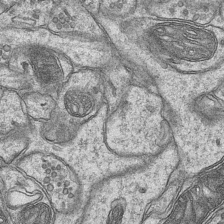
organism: Mouse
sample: CA1 Hippocampus